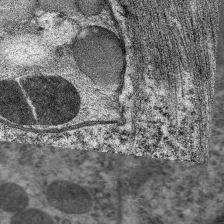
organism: C. elegans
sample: Pharynx